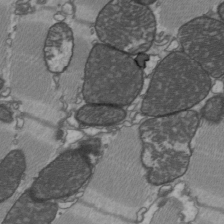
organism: C57BL Mouse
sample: Heart